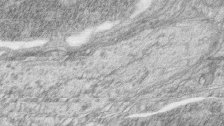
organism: Zebrafish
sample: synaptic ribbons in rod cells and cone cells